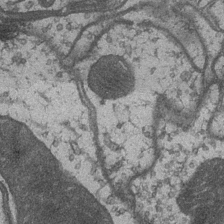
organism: Drosophila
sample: Optic medulla